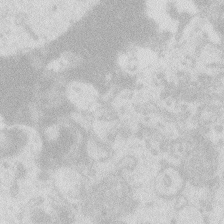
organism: Zebrafish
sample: Macrophage